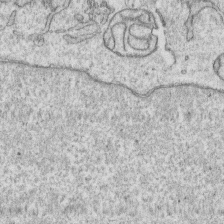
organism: Human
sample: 1205lu cells